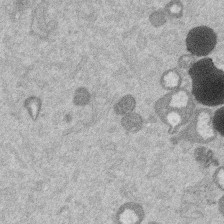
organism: Mouse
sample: Dividing mouse embryo 1 cell stage